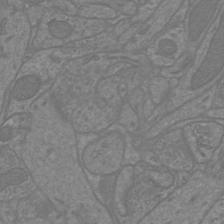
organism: Mouse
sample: Cortical neurons